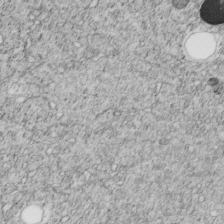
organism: C. elegans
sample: C. elegans embryo early stage